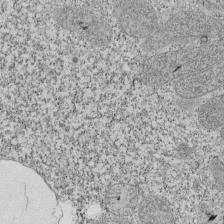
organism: Tetrahymena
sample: Cilia in tetrahymena